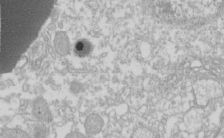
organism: Xenopus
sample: Cilia; centrioles in frog embryo cells